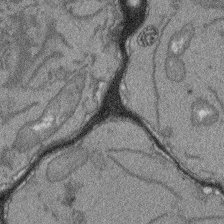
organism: Arabidopsis thaliana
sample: Root tip